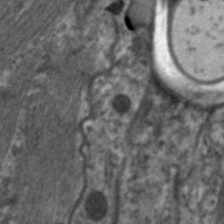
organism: C. elegans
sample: Pharynx